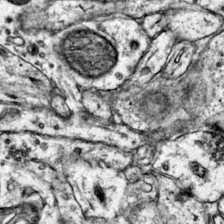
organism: Mouse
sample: Primary visual cortex